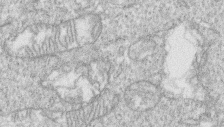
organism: Human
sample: HeLa cell HIV synapse